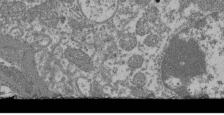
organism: Mouse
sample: Glomerulus